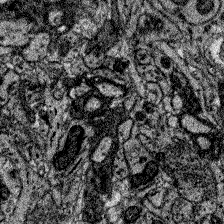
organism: Zebrafish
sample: Larval olfactory bulb